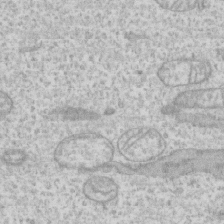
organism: Human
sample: CRL-1474